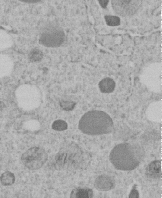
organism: C. elegans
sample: C. elegans embryo early stage